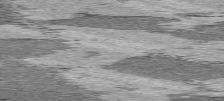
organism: C57BL Mouse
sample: Heart